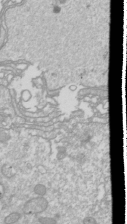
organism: Drosophila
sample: Cell division; meiosis; drosophila spermatocytes